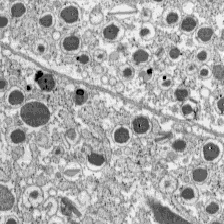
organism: C57BL Mouse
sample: Pancreatic islet